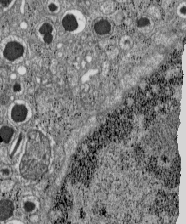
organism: C57BL Mouse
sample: Pancreatic islet